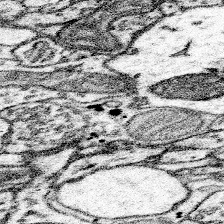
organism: Mouse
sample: Somatosensory cortex neuropil